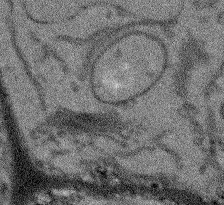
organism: Arabidopsis thaliana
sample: Root tip